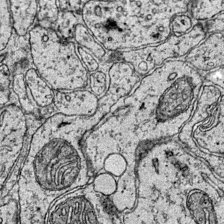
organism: Mouse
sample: Primary visual cortex